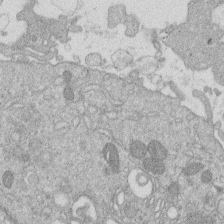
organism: Human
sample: Macrophage cells